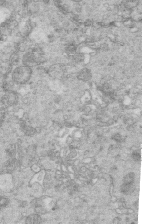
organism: Mouse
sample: Multiciliated cells